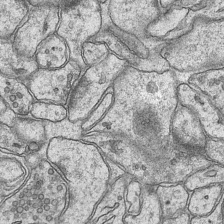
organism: Mouse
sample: CA1 Hippocampus